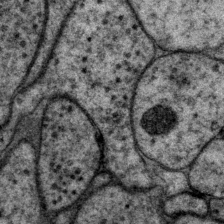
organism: P. pacificus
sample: Pharynx